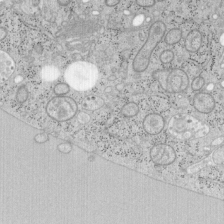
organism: Mouse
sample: OT-I killer T cells with ID8 ovarian cancer cells